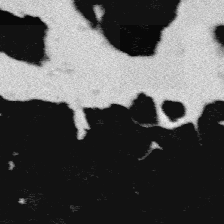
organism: Platynereis dumerilii